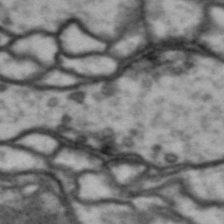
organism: Drosophila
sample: Brain